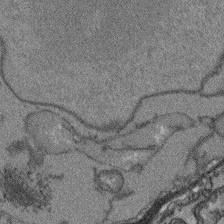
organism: Arabidopsis thaliana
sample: Root tip